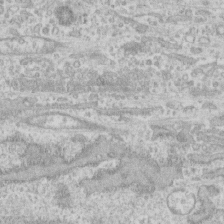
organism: Human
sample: CRL-1474